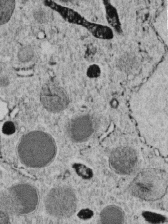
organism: C. elegans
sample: C. elegans embryo early stage